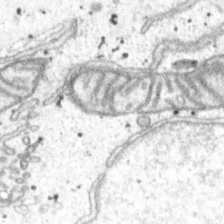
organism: Human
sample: HeLa cells